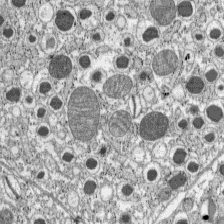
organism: C57BL Mouse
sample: Pancreatic islet